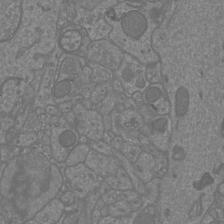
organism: Mouse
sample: Cortical neurons